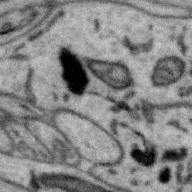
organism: Zebra finch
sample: Brain